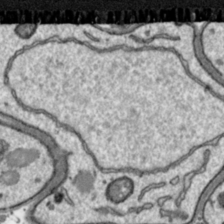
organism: Toxoplasma gondii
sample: Parasites in a vacuole inside a host cell